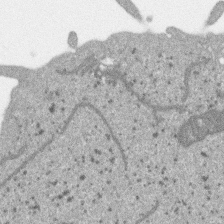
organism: Human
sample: Lung epithelial cells infected with SARS-CoV-2